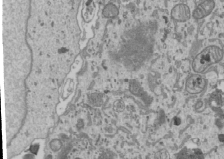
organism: Human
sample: Mitochondria in U2OS cells